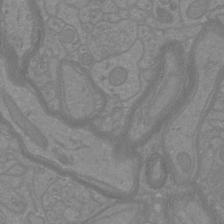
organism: Mouse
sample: Cortical neurons